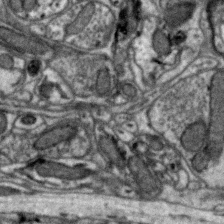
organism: Zebra finch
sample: Brain